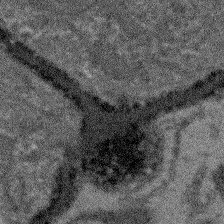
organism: Arabidopsis thaliana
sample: Root tip